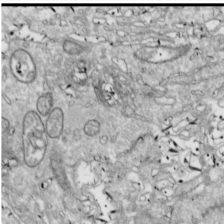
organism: Drosophila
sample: Cell division; meiosis; drosophila spermatocytes